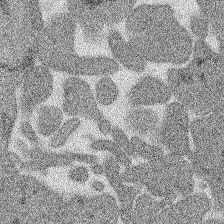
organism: Human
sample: HeLa cells